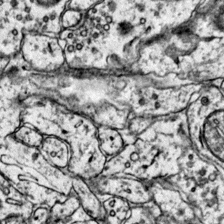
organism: Mouse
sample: Primary visual cortex